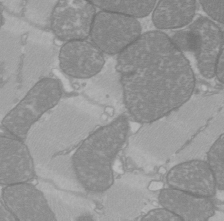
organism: C57BL Mouse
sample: Heart